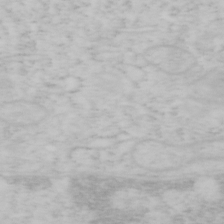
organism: Mouse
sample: OT-I killer T cells with ID8 ovarian cancer cells